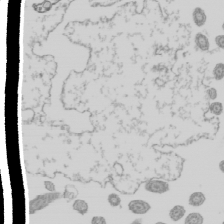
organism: Mouse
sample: Cilia; mouse epididymis